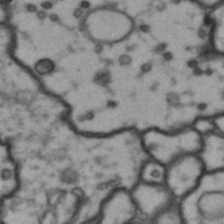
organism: Drosophila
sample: Brain